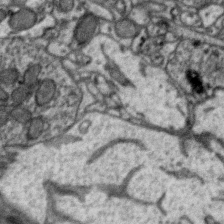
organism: Zebra finch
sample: Brain